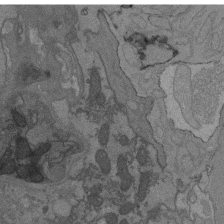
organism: C. elegans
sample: AFD neurons C. elegans